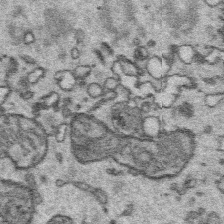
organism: Platynereis dumerilii